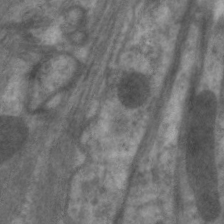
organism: C. elegans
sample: Pharynx